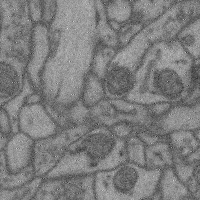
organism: Mouse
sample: Cerebral cortex